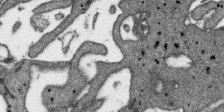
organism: Human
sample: Lung epithelial cells, uninfected (mock) control